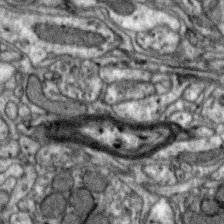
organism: Zebra finch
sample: Brain